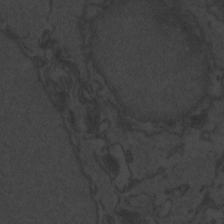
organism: Zebrafish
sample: Macrophage infected with Toxoplasma gondii